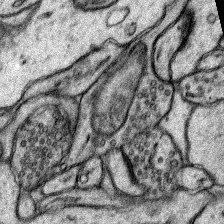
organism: Rat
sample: Hippocampus